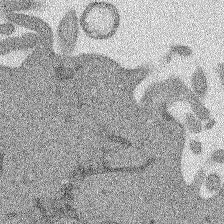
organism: Human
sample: HeLa cells